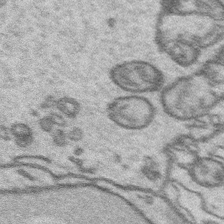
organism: Platynereis dumerilii